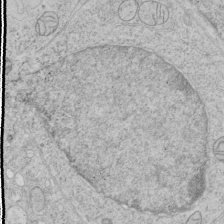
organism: Human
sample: Mitochondria in HCT116 cells